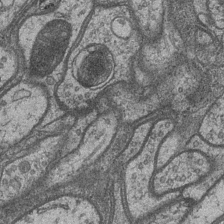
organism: Drosophila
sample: Optic medulla